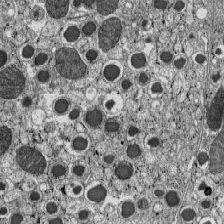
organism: C57BL Mouse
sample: Pancreatic islet